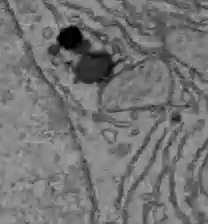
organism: C57BL Mouse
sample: Liver